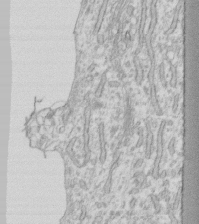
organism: Human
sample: Fibroblast cells